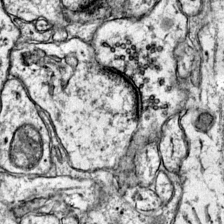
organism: Mouse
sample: Primary visual cortex